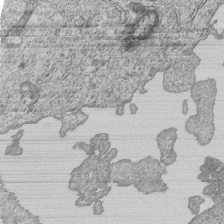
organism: Human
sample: MDA-MB-231 cells